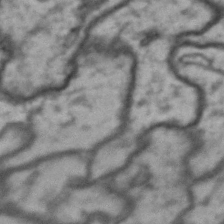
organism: Drosophila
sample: Brain